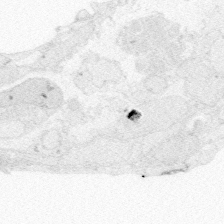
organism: Zebrafish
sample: Whole-Brain